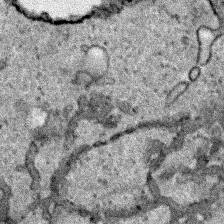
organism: Human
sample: Mitochondria in HCT116 cells